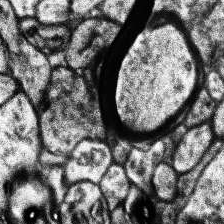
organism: Human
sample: Temporal Lobe